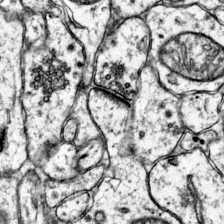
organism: Mouse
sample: Primary visual cortex